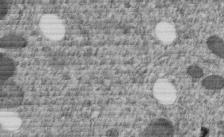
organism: C. elegans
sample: C. elegans embryo early stage